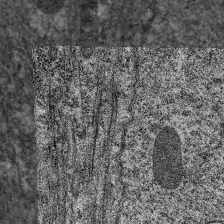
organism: C. elegans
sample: Pharynx